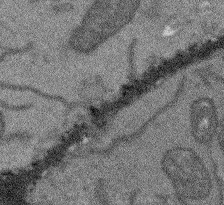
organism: Arabidopsis thaliana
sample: Root tip